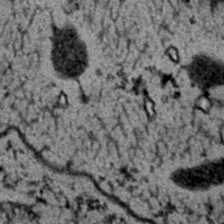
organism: C. elegans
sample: C. elegans embryo